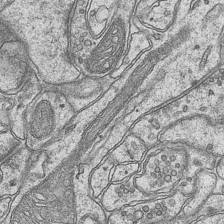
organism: Mouse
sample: CA1 Hippocampus